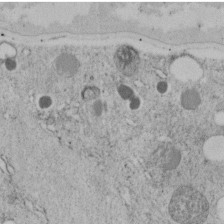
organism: C. elegans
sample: C. elegans embryo early stage